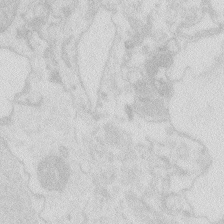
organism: Zebrafish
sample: Macrophage